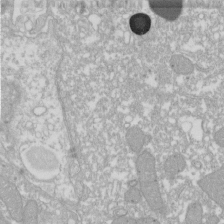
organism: Xenopus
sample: Cilia; centrioles in frog embryo cells